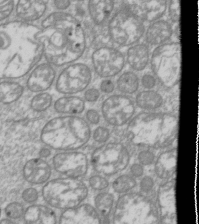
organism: Drosophila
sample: Cell division; meiosis; drosophila spermatocytes